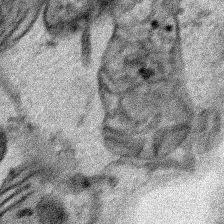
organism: Human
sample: Mitochondria in HCT116 cells